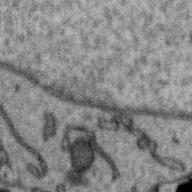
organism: Zebra finch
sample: Brain